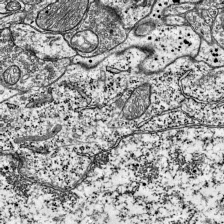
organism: Mouse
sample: Visual Cortex